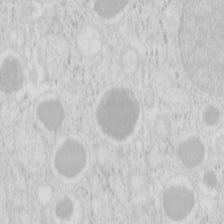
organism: Mouse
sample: Pancreas